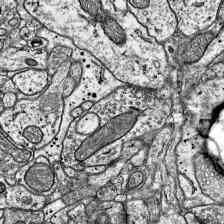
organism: Mouse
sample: Visual Cortex